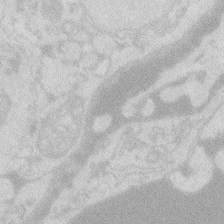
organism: Zebrafish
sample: Macrophage